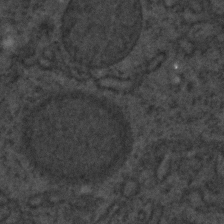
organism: C. elegans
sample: C. elegans embryo